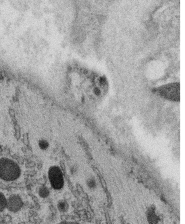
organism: C. elegans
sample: C. elegans oocyte; sperm cells